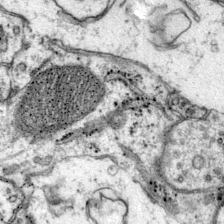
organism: Mouse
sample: Primary visual cortex